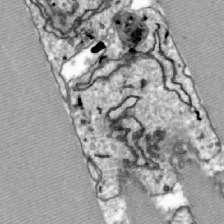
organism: Zebrafish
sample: Actinotrichia fibers